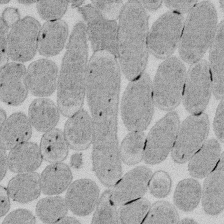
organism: E. coli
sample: Bacterial nucleoid